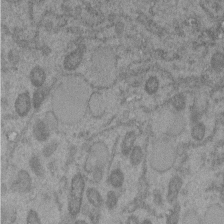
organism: C. elegans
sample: C. elegans embryo early stage